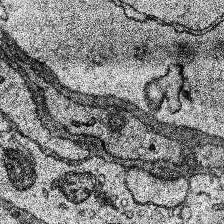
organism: Human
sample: Temporal Lobe